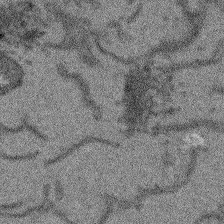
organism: Arabidopsis thaliana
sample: Root tip